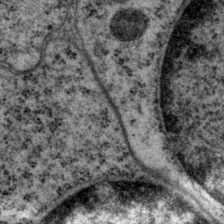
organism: P. pacificus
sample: Pharynx